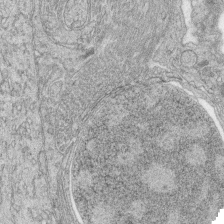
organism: Zebrafish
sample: synaptic ribbons in rod cells and cone cells